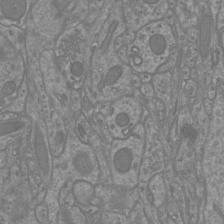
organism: Mouse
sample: Cortical neurons